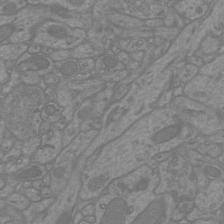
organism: Mouse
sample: Cortical neurons